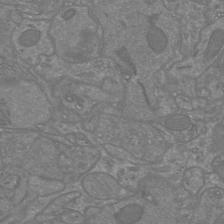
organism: Mouse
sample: Cortical neurons